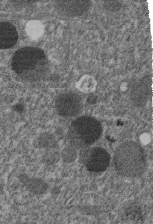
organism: C. elegans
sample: C. elegans embryo early stage